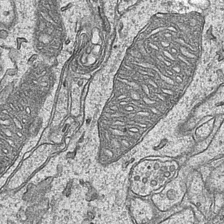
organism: Mouse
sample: CA1 Hippocampus